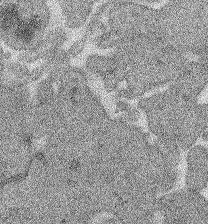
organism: Human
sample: HeLa cells